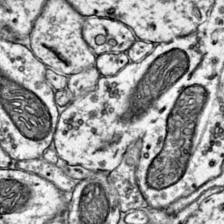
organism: Mouse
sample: Primary visual cortex